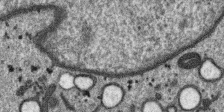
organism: Human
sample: Lung epithelial cells infected with SARS-CoV-2